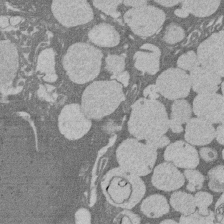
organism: Rat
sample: Salivary granule